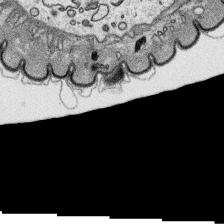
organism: Platynereis dumerilii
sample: Parapodia